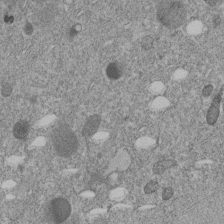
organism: C. elegans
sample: C. elegans embryo early stage